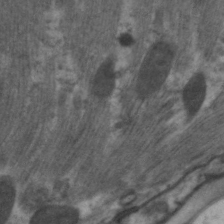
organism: C. elegans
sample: Pharynx